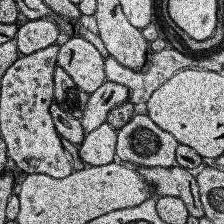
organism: Human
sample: Temporal Lobe